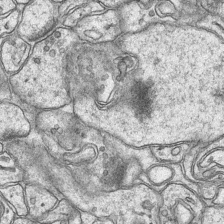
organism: Mouse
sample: CA1 Hippocampus